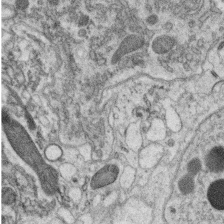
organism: C. elegans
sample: C. elegans oocyte; sperm cells